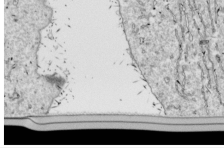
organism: Drosophila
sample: Cell division; meiosis; drosophila spermatocytes